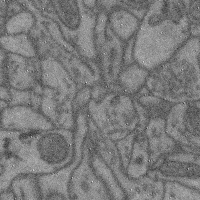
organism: Mouse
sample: Cerebral cortex